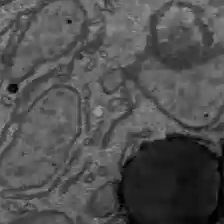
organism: C57BL Mouse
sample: Liver